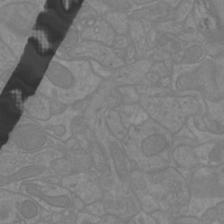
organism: Mouse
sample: Cortical neurons